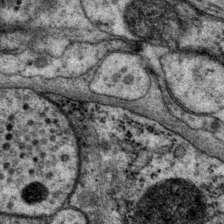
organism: P. pacificus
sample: Pharynx